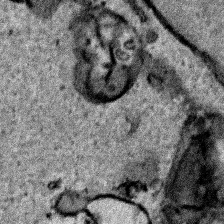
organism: Human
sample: Mitochondria in HCT116 cells